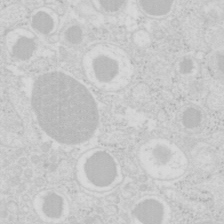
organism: Mouse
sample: Pancreas